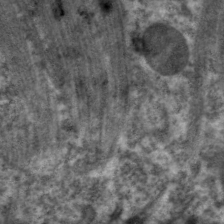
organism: C. elegans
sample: Pharynx